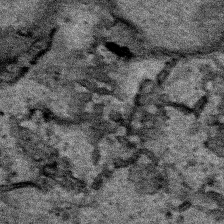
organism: Human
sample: Mitochondria in HCT116 cells